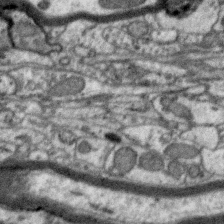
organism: Zebra finch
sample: Brain